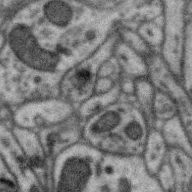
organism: Zebra finch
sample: Brain